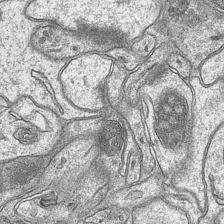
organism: Mouse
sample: CA1 Hippocampus